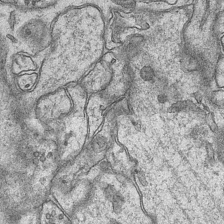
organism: Mouse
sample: CA1 Hippocampus